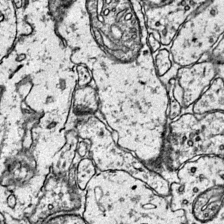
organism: Mouse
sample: Primary visual cortex